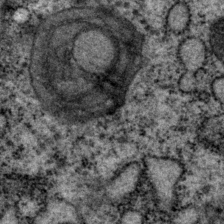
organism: P. pacificus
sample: Pharynx